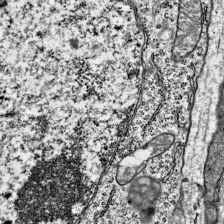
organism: Mouse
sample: Visual Cortex